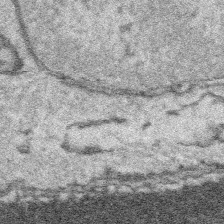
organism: Platynereis dumerilii